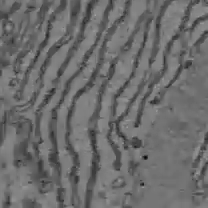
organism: C57BL Mouse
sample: Liver